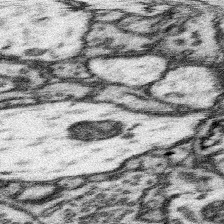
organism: Mouse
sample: Somatosensory cortex neuropil